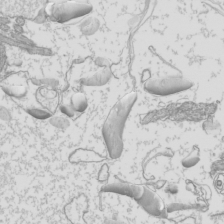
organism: Mouse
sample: Cilia; mouse epididymis